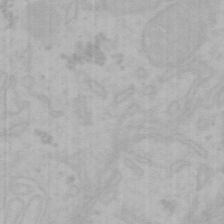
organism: Mouse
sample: Choroid plexus